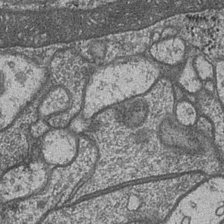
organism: Drosophila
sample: Optic medulla